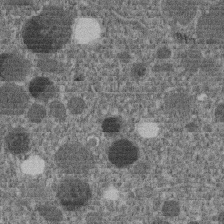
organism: C. elegans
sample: C. elegans embryo early stage